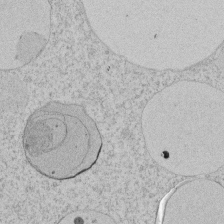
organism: Tetrahymena